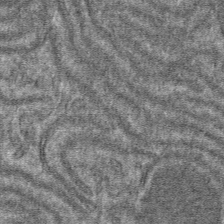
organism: Mouse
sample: Mouse hepatocytes